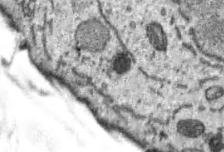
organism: Human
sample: HeLa cells